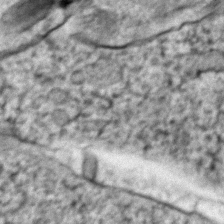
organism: Zebrafish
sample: Zebrafish embryo